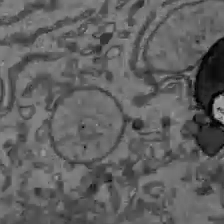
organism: C57BL Mouse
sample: Liver